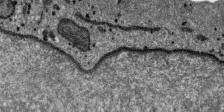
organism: Human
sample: Lung epithelial cells, uninfected (mock) control